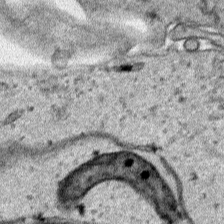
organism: Human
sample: Mitochondria in HCT116 cells